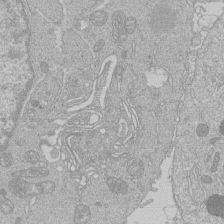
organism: Human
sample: Macrophage cells